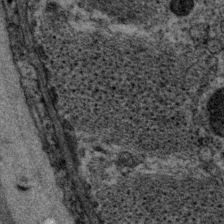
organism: P. pacificus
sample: Pharynx